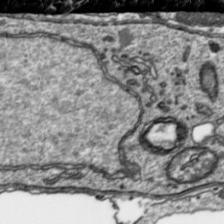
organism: Toxoplasma gondii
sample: Parasites in a vacuole inside a host cell